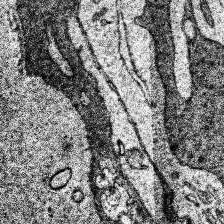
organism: Human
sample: Temporal Lobe